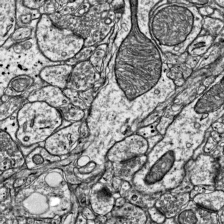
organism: Mouse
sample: Visual Cortex